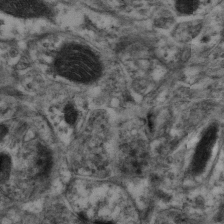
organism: Mouse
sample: Neocortex